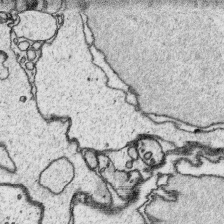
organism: Platynereis dumerilii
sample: Parapodia